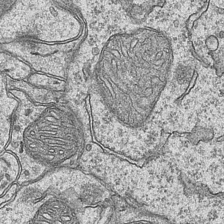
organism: Mouse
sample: CA1 Hippocampus